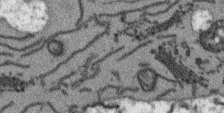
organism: Arabidopsis thaliana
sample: Root tip